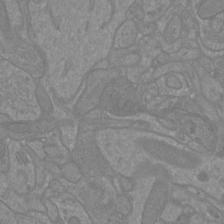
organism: Mouse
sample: Cortical neurons